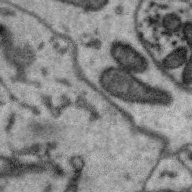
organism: Zebra finch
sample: Brain